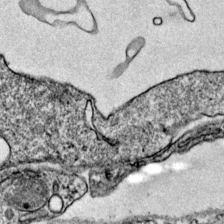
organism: Mouse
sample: Primary visual cortex